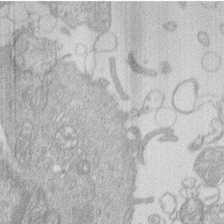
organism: Human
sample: Macrophage cells